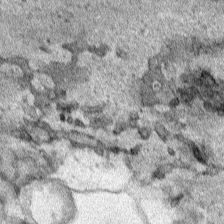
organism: Human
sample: Mitochondria in HCT116 cells